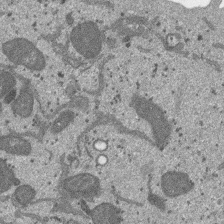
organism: Human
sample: Lung epithelial cells infected with SARS-CoV-2